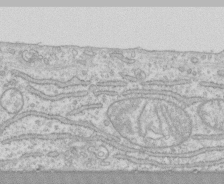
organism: Human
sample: CRL-1474